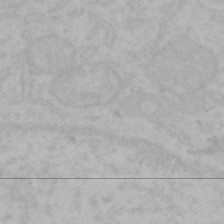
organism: Mouse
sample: Choroid plexus